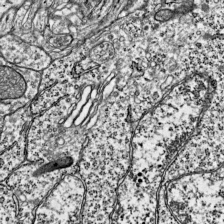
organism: Mouse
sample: Visual Cortex